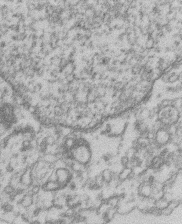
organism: Mouse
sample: T cell stromal cell synapse